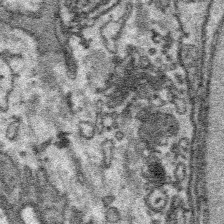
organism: Platynereis dumerilii